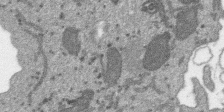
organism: Human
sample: Lung epithelial cells infected with SARS-CoV-2